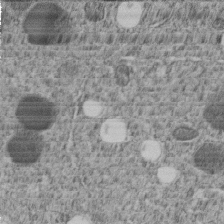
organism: C. elegans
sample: C. elegans embryo early stage